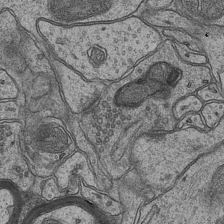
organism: Mouse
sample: CA1 Hippocampus